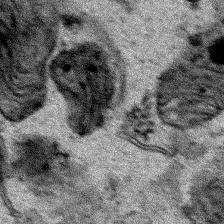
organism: Human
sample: Mitochondria in HCT116 cells